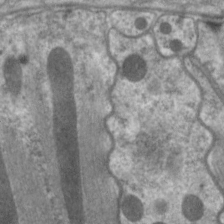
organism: C. elegans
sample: Pharynx